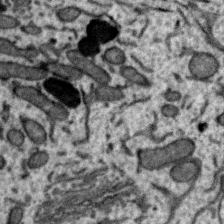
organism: Zebra finch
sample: Brain